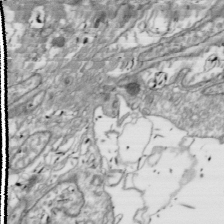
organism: Drosophila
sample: Cell division; meiosis; drosophila spermatocytes